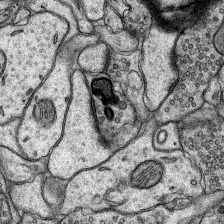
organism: Rat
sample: Hippocampus